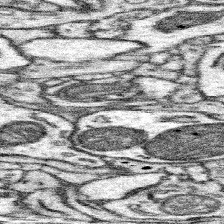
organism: Mouse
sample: Somatosensory cortex neuropil